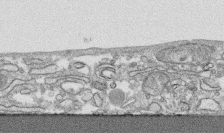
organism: Human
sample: CRL-1474